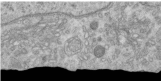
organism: Human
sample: Centriole in RPE cells